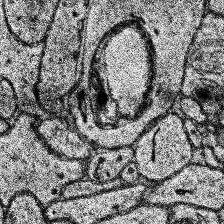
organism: Human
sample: Temporal Lobe